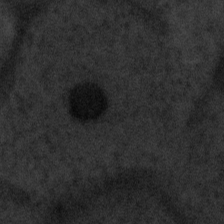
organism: Tuwongella immobilis